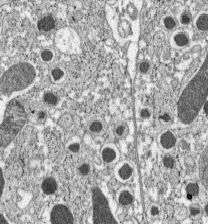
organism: C57BL Mouse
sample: Pancreatic islet